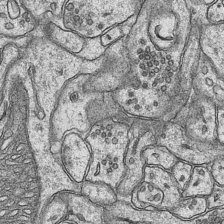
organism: Mouse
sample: CA1 Hippocampus